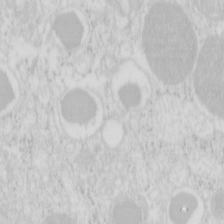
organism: Mouse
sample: Pancreas